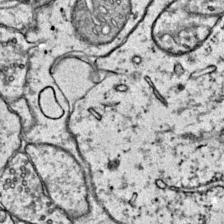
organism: Mouse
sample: Primary visual cortex